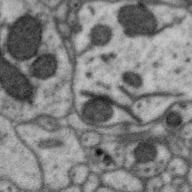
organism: Zebra finch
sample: Brain